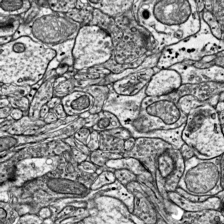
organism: Mouse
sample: Visual Cortex